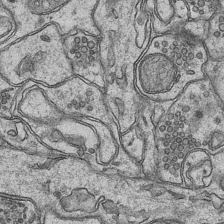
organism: Mouse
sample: CA1 Hippocampus